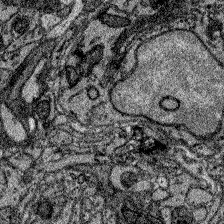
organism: Zebrafish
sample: Larval olfactory bulb